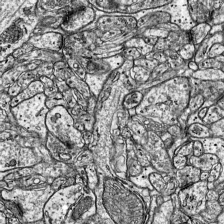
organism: Mouse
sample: Visual Cortex